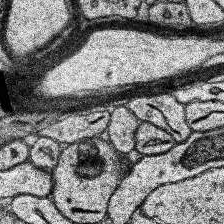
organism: Human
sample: Temporal Lobe